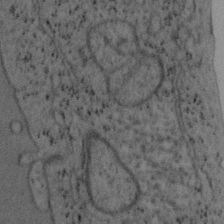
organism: Human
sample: HeLa cells